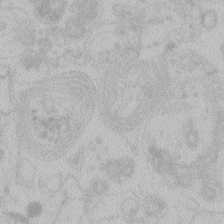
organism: Zebrafish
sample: Macrophage infected with Toxoplasma gondii